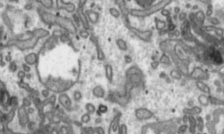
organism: Toxoplasma gondii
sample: Parasites in a vacuole inside a host cell